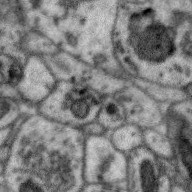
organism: Zebra finch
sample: Brain